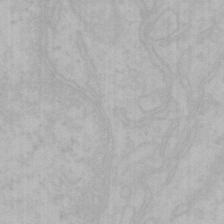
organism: Mouse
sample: Choroid plexus